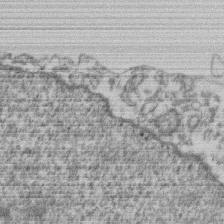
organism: Mouse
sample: T cell stromal cell synapse